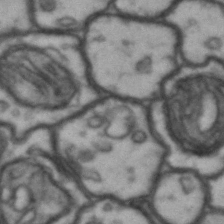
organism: Drosophila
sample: Brain